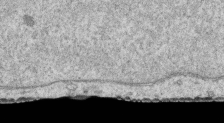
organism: Human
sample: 1205lu cells